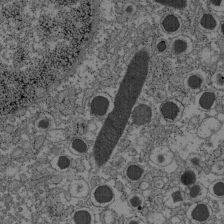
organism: C57BL Mouse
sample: Pancreatic islet